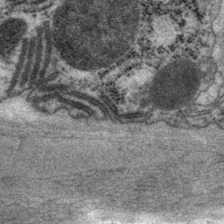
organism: P. pacificus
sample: Pharynx